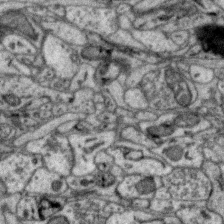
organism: Zebra finch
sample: Brain